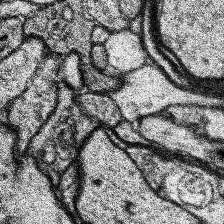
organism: Human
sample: Temporal Lobe